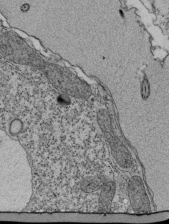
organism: Tetrahymena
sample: Cilia in tetrahymena